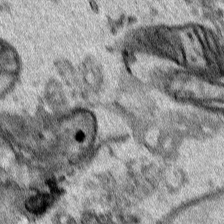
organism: Human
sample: Mitochondria in HCT116 cells